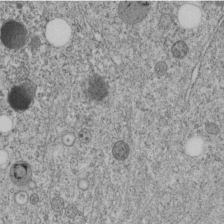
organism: C. elegans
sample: C. elegans embryo early stage